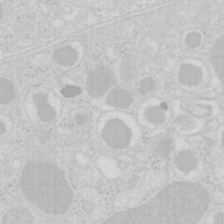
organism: Mouse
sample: Pancreas